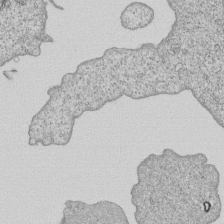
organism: Human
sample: MDA-MB-231 cells